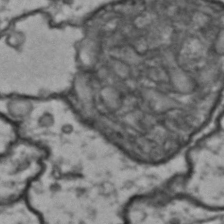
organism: Drosophila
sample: Brain